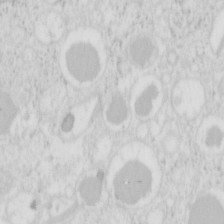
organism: Mouse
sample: Pancreas